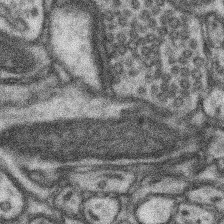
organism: Mouse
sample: Somatosensory cortex neuropil